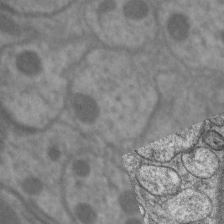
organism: C. elegans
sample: Pharynx